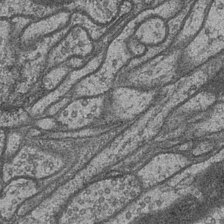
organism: Drosophila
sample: Optic medulla